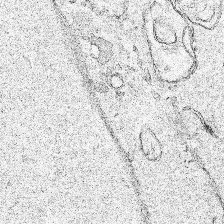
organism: Human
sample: Mitochondria in HCT116 cells